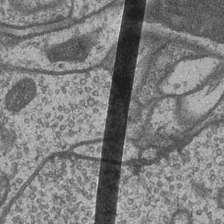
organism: Drosophila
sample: Optic medulla